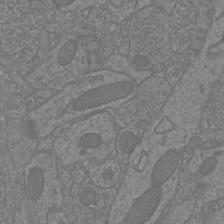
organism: Mouse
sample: Cortical neurons